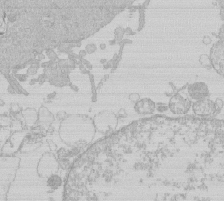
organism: Human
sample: Macrophage cells